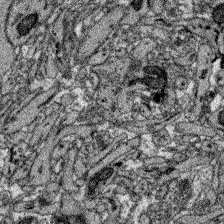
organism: Zebrafish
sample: Larval olfactory bulb